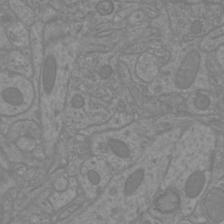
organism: Mouse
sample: Cortical neurons